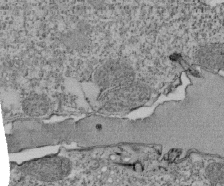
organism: Tetrahymena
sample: Cilia in tetrahymena